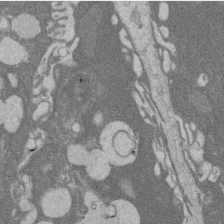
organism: Rat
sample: Salivary granule